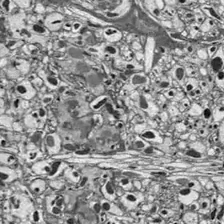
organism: Drosophila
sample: Optic lobe